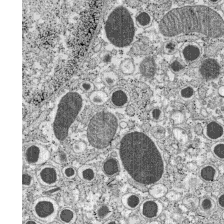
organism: C57BL Mouse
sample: Pancreatic islet